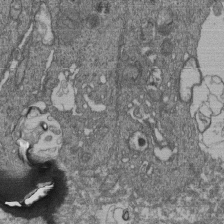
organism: Human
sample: Retinal organoid Rod and Cone cells